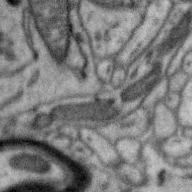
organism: Zebra finch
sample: Brain